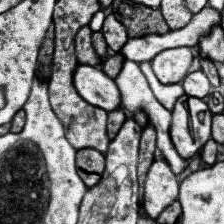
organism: Human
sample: Temporal Lobe